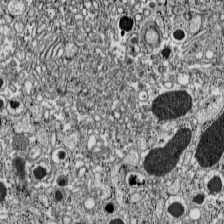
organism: C57BL Mouse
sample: Pancreatic islet